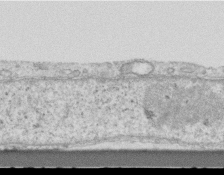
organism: Mouse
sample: Centriole in ependymal cells